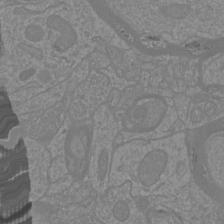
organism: Mouse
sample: Cortical neurons